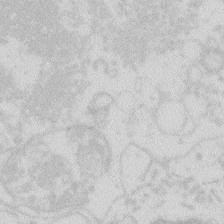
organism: Zebrafish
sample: Macrophage